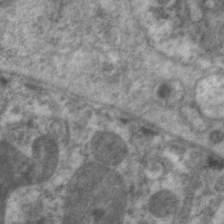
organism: C. elegans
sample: Pharynx